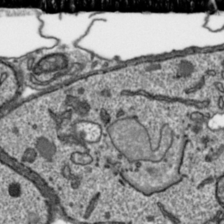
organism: Toxoplasma gondii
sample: Parasites in a vacuole inside a host cell